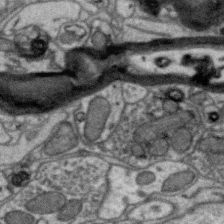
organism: Zebra finch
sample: Brain